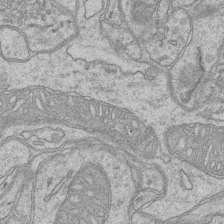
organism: Mouse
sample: CA1 Hippocampus